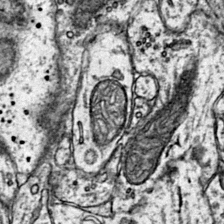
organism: Mouse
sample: Primary visual cortex